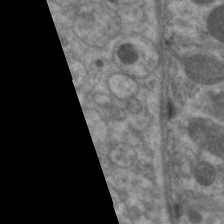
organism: C. elegans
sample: Pharynx